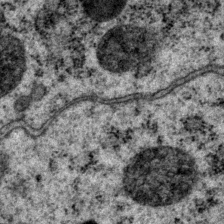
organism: P. pacificus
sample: Pharynx